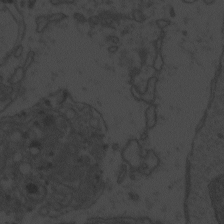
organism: Zebrafish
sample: Macrophage infected with Toxoplasma gondii